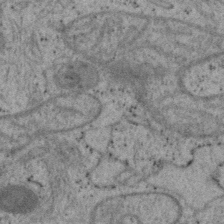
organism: Human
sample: HeLa cells